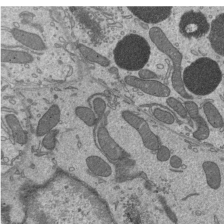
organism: Mouse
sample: Mouse epididymis efferent ductule cilia